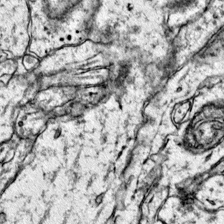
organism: Mouse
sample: Primary visual cortex